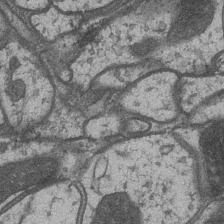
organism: Drosophila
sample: Optic medulla